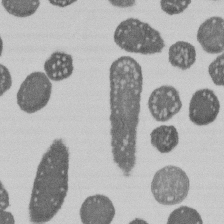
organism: E. coli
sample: Bacterial nucleoid